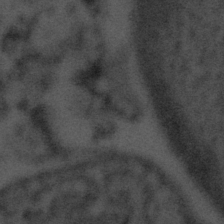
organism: Tuwongella immobilis